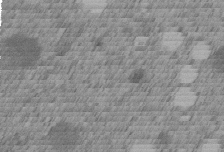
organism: C. elegans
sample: C. elegans embryo early stage